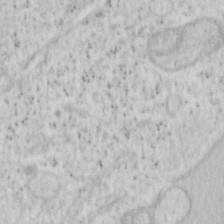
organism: Human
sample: HeLa cells